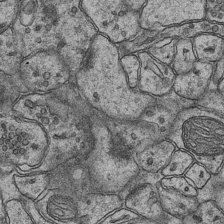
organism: Mouse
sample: CA1 Hippocampus